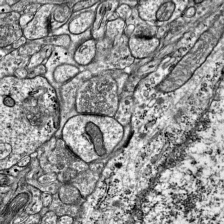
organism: Mouse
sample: Visual Cortex